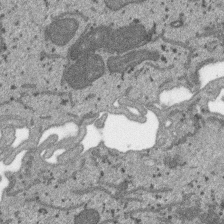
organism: Human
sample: Lung epithelial cells infected with SARS-CoV-2